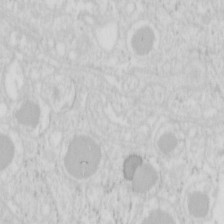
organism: Mouse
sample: Pancreas